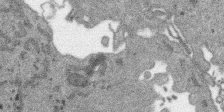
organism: Human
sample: Lung epithelial cells infected with SARS-CoV-2